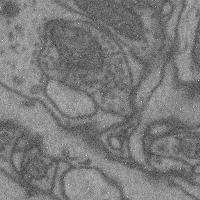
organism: Mouse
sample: Cerebral cortex